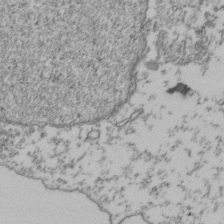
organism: Human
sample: Activated Jurkat CD4+ T cells